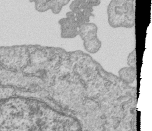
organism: Human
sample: MDA-MB-231 cells